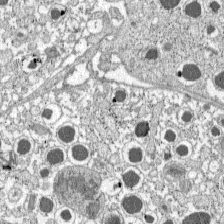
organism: C57BL Mouse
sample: Pancreatic islet